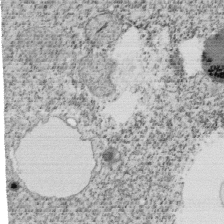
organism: Tetrahymena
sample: Cilia in tetrahymena